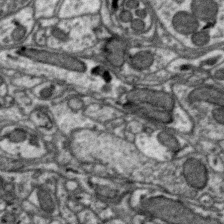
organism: Zebra finch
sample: Brain